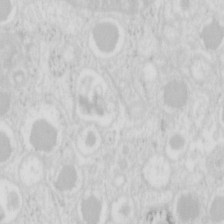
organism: Mouse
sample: Pancreas